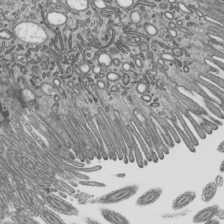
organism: Mouse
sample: Mouse epididymis efferent ductule cilia